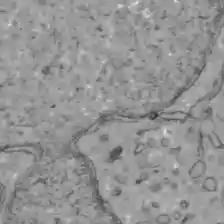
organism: C57BL Mouse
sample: Liver